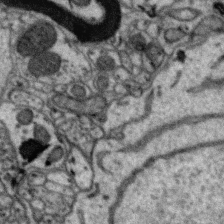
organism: Zebra finch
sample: Brain